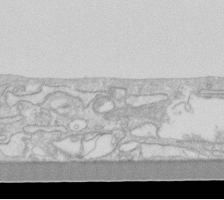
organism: Human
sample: Fibroblast cells